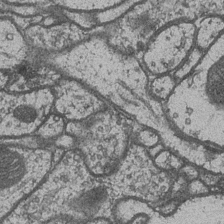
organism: Drosophila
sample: Optic medulla